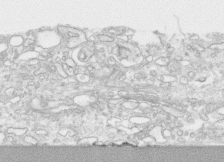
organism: Human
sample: CRL-1474